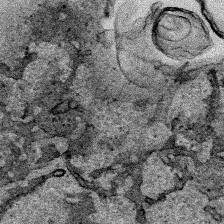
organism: Human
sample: Mitochondria in HCT116 cells